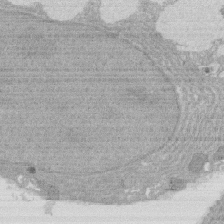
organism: Rat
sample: Salivary granule